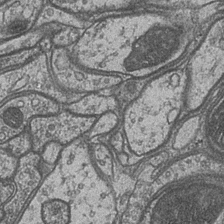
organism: Drosophila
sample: Optic medulla